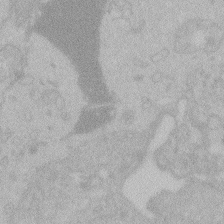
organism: Zebrafish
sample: Macrophage infected with Toxoplasma gondii